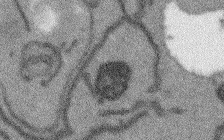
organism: Arabidopsis thaliana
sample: Root tip